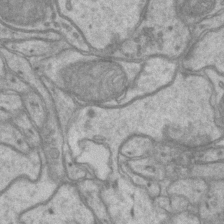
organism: Mouse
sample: CA1 Hippocampus